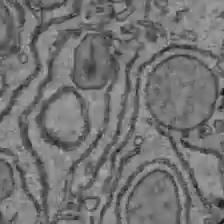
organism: C57BL Mouse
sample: Liver